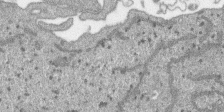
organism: Human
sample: Lung epithelial cells infected with SARS-CoV-2